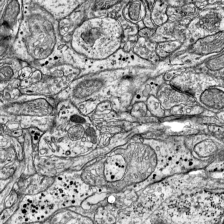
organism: Mouse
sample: Visual Cortex